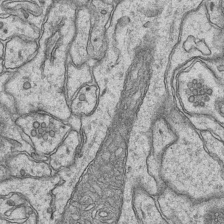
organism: Mouse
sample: CA1 Hippocampus